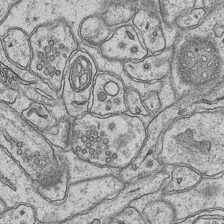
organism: Mouse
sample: CA1 Hippocampus